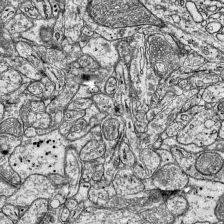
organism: Mouse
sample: Visual Cortex